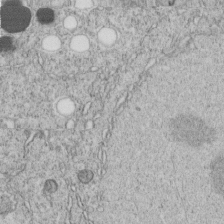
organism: C. elegans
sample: C. elegans embryo early stage